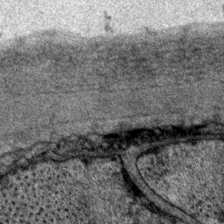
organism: P. pacificus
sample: Pharynx